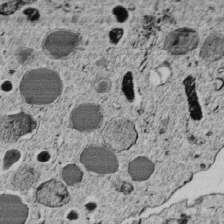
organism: C. elegans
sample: C. elegans embryo early stage